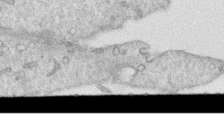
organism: Human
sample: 1205lu cells